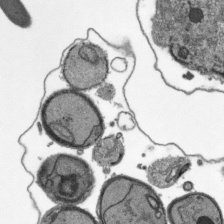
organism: Plasmodium falciparum